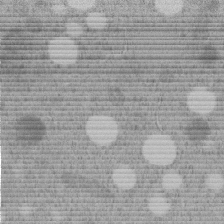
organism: C. elegans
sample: C. elegans embryo early stage